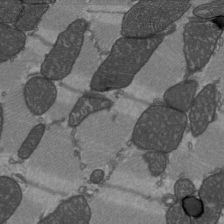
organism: C57BL Mouse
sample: Heart